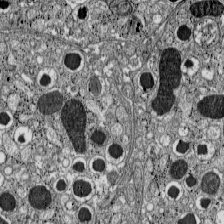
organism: C57BL Mouse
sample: Pancreatic islet